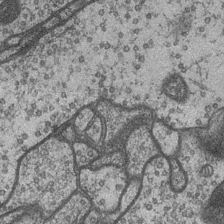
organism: Drosophila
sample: Optic medulla